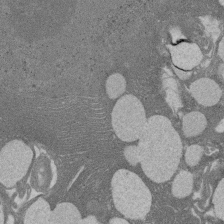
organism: Rat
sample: Salivary granule